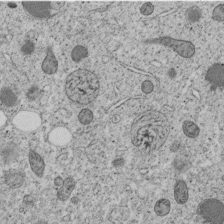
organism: C. elegans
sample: C. elegans embryo early stage